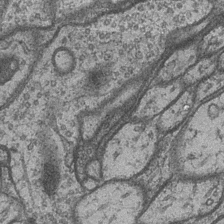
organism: Drosophila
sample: Optic medulla